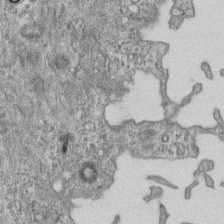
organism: Mouse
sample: Centriole in ependymal cells